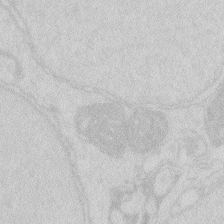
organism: Zebrafish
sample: Macrophage